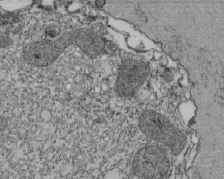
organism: Tetrahymena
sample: Cilia in tetrahymena